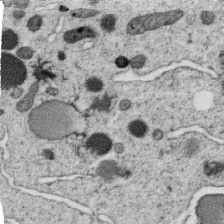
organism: C. elegans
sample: C. elegans oocyte; sperm cells